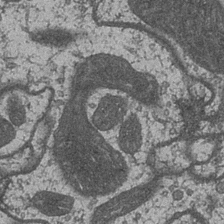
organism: Drosophila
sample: Optic medulla